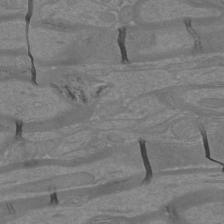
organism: Mouse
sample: Cortical neurons